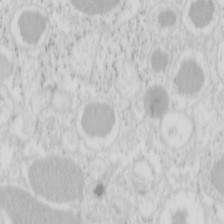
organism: Mouse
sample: Pancreas